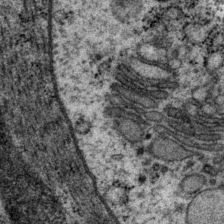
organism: P. pacificus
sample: Pharynx